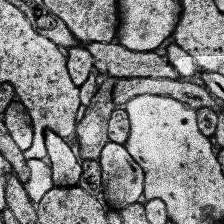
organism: Human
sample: Temporal Lobe